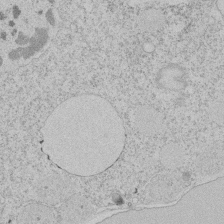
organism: Tetrahymena